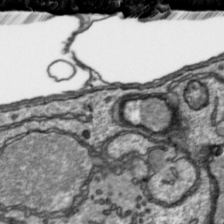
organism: Toxoplasma gondii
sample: Parasites in a vacuole inside a host cell